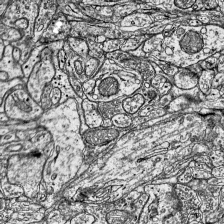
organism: Mouse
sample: Visual Cortex